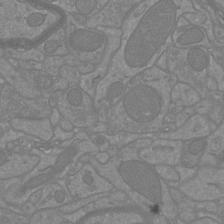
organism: Mouse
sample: Cortical neurons